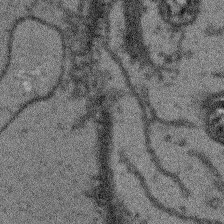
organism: Arabidopsis thaliana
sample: Root tip